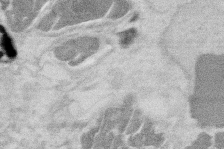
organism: Mouse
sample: T cell stromal cell synapse